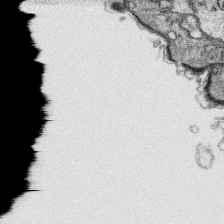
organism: Platynereis dumerilii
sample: Parapodia